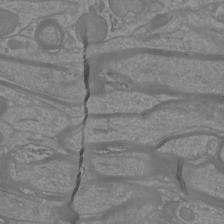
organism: Mouse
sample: Cortical neurons